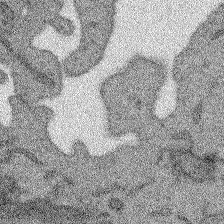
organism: Human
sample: HeLa cells